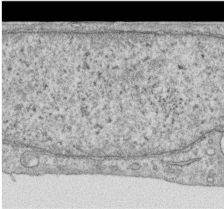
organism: Human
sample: Centriole in RPE cells